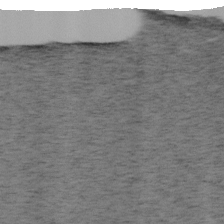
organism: Mouse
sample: OT-I killer T cells with ID8 ovarian cancer cells